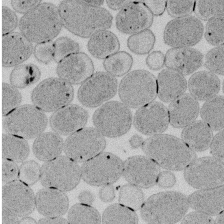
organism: E. coli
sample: Bacterial nucleoid